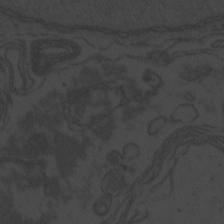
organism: Zebrafish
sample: Macrophage infected with Toxoplasma gondii